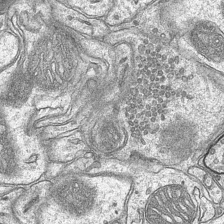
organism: Mouse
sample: CA1 Hippocampus